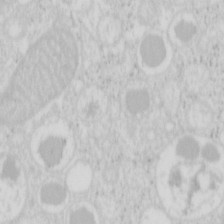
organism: Mouse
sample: Pancreas